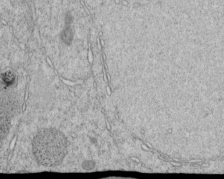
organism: C. elegans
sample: C. elegans embryo early stage